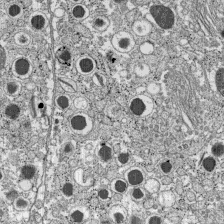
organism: C57BL Mouse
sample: Pancreatic islet